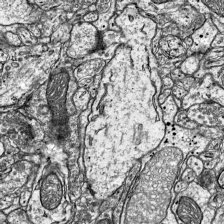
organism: Mouse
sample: Visual Cortex